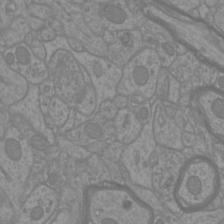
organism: Mouse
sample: Cortical neurons